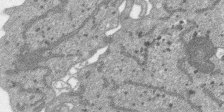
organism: Human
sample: Lung epithelial cells infected with SARS-CoV-2